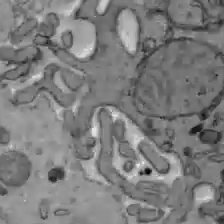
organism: C57BL Mouse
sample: Liver